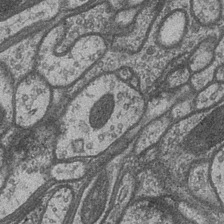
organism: Drosophila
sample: Optic medulla